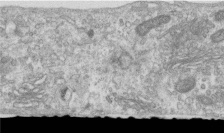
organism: Human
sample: Centriole in RPE cells